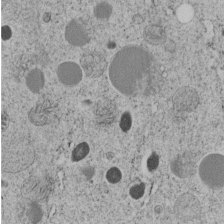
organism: C. elegans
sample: C. elegans embryo early stage